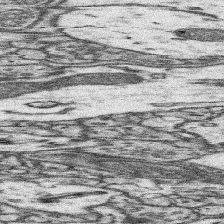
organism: Mouse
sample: Somatosensory cortex neuropil